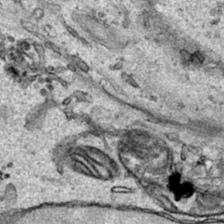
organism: Human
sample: Mitochondria in HCT116 cells